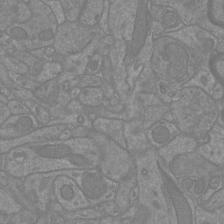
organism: Mouse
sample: Cortical neurons